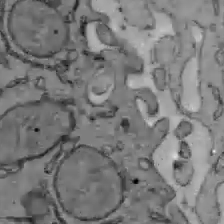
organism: C57BL Mouse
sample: Liver